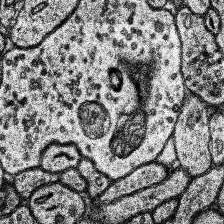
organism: Human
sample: Temporal Lobe